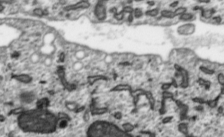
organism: Toxoplasma gondii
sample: Parasites in a vacuole inside a host cell